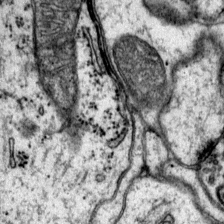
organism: Mouse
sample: Primary visual cortex